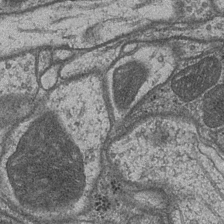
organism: Drosophila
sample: Optic medulla